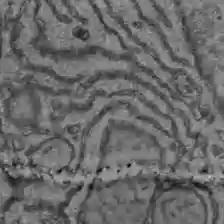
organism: C57BL Mouse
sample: Liver